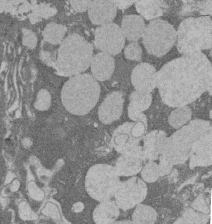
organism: Rat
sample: Salivary granule